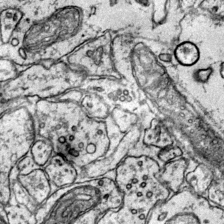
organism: Mouse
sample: Primary visual cortex